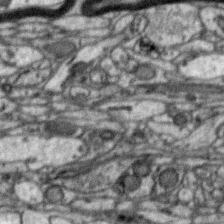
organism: Zebra finch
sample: Brain